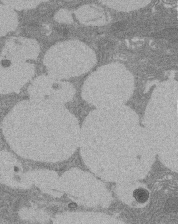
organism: Rat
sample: Salivary granule